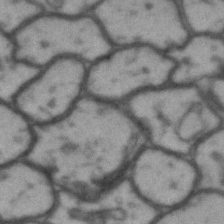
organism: Drosophila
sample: Brain